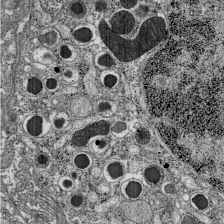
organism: C57BL Mouse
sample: Pancreatic islet